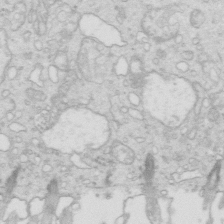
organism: Mouse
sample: Multiciliated cells